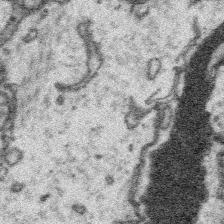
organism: Platynereis dumerilii